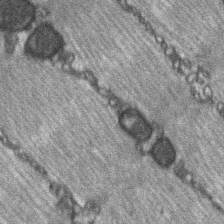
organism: C57BL Mouse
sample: Soleus